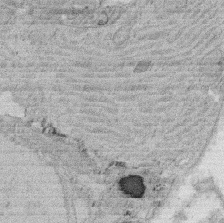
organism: Rat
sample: Salivary granule